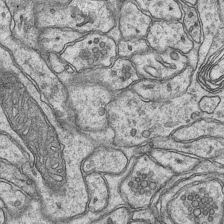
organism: Mouse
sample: CA1 Hippocampus